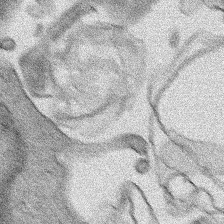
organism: Human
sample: Mitochondria in HCT116 cells